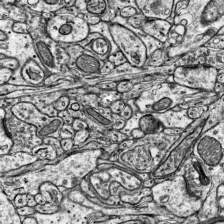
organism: Mouse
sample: Visual Cortex